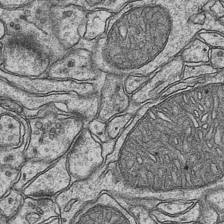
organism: Mouse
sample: CA1 Hippocampus